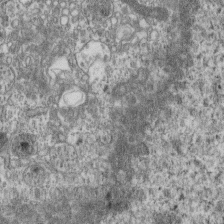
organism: Mouse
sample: Centriole in ependymal cells